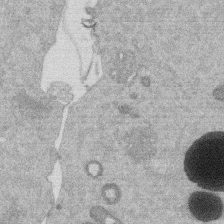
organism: Mouse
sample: Dividing mouse embryo 1 cell stage